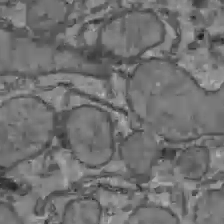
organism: C57BL Mouse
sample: Liver